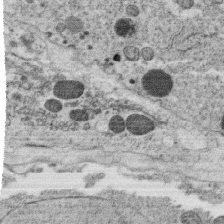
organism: C. elegans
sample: C. elegans oocyte; sperm cells